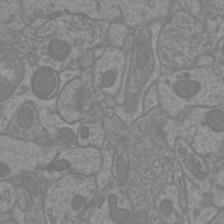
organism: Mouse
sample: Cortical neurons